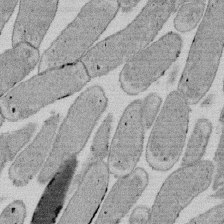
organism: E. coli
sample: Bacterial nucleoid